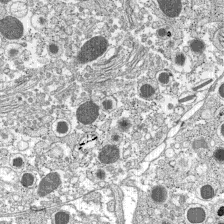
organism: C57BL Mouse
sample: Pancreatic islet